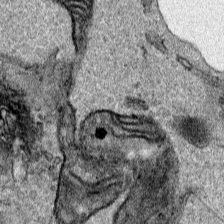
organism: Human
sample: Mitochondria in HCT116 cells